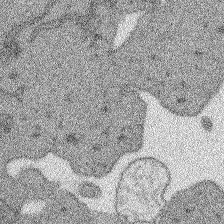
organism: Human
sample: HeLa cells